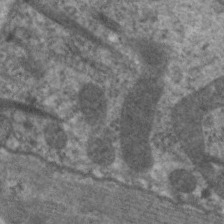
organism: C. elegans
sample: Pharynx